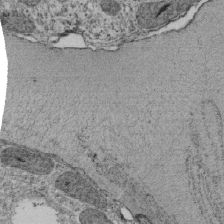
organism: Tetrahymena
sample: Cilia in tetrahymena